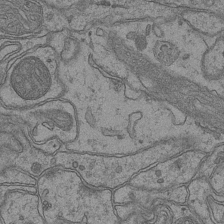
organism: Mouse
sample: CA1 Hippocampus